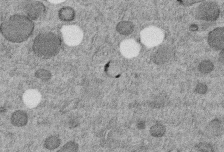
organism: C. elegans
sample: C. elegans embryo early stage